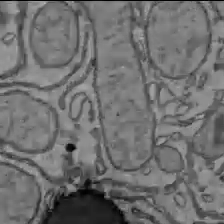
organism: C57BL Mouse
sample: Liver